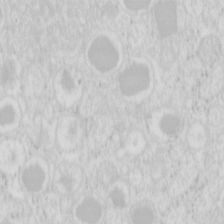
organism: Mouse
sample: Pancreas